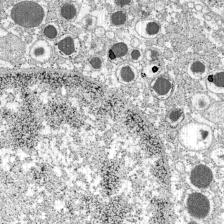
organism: C57BL Mouse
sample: Pancreatic islet